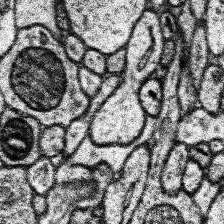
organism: Human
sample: Temporal Lobe